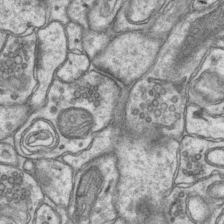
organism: Mouse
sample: CA1 Hippocampus